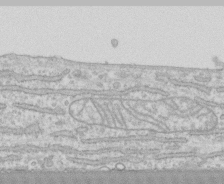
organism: Human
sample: CRL-1474